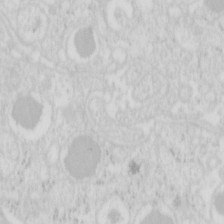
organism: Mouse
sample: Pancreas